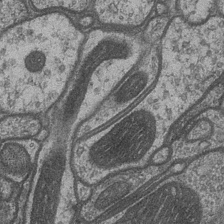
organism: Drosophila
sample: Optic medulla